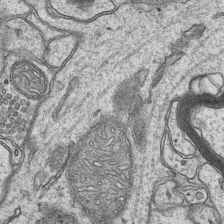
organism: Mouse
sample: CA1 Hippocampus